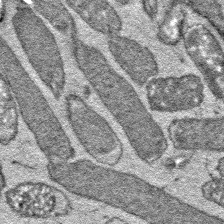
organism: E. coli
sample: E. Coli Bacteria